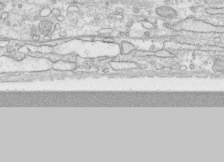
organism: Human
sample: CRL-1474